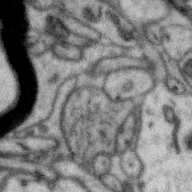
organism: Zebra finch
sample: Brain